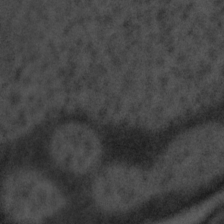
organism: Tuwongella immobilis